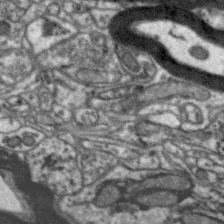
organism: Zebra finch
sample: Brain